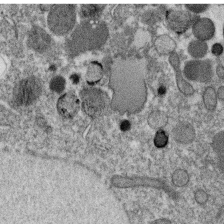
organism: C. elegans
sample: C. elegans oocyte; sperm cells